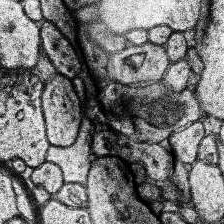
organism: Human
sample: Temporal Lobe